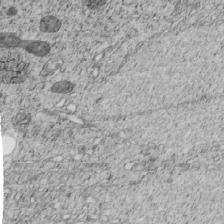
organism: C. elegans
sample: C. elegans embryo early stage